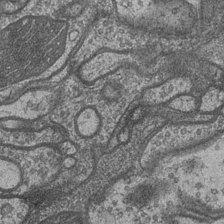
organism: Drosophila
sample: Optic medulla